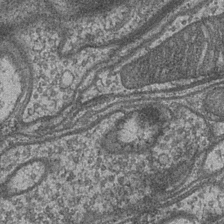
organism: Drosophila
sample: Optic medulla